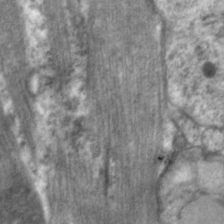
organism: C. elegans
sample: Pharynx